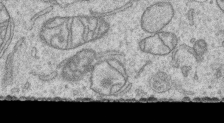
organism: Human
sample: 1205lu cells